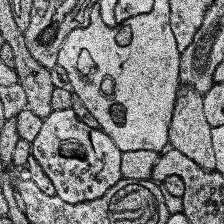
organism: Human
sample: Temporal Lobe